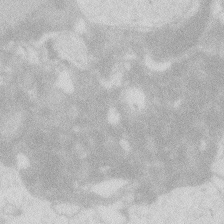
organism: Zebrafish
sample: Macrophage